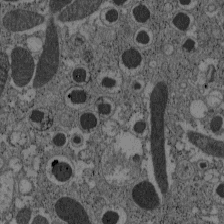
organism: C57BL Mouse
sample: Pancreatic islet